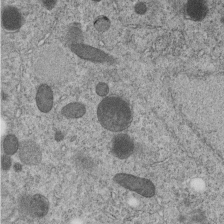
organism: C. elegans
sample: C. elegans embryo early stage